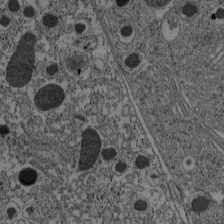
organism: C57BL Mouse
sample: Pancreatic islet